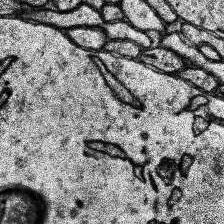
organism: Human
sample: Temporal Lobe